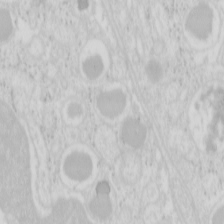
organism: Mouse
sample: Pancreas